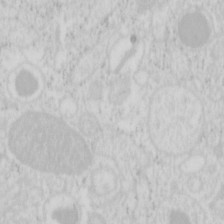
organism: Mouse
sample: Pancreas